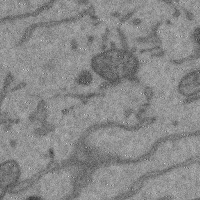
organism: Mouse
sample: Cerebral cortex